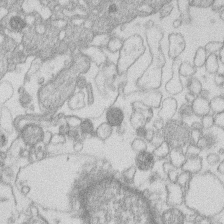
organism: Human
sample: Macrophage cells